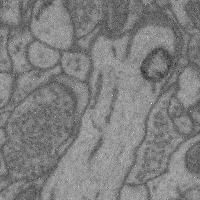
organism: Mouse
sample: Cerebral cortex